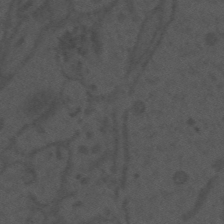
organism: Mouse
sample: Suprachiasmatic nucleus